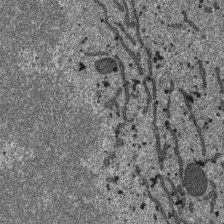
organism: Human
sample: Lung epithelial cells infected with SARS-CoV-2